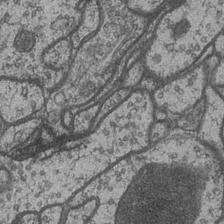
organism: Drosophila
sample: Optic medulla